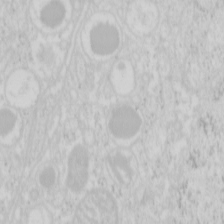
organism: Mouse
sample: Pancreas